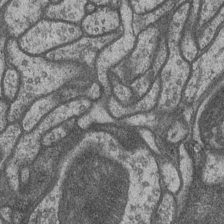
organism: Drosophila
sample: Optic medulla